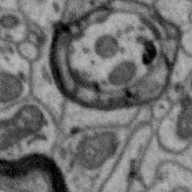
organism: Zebra finch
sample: Brain